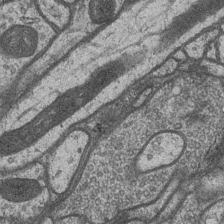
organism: Drosophila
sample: Optic medulla